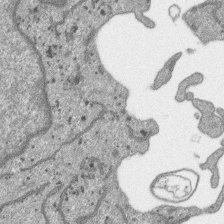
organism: Human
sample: Lung epithelial cells infected with SARS-CoV-2